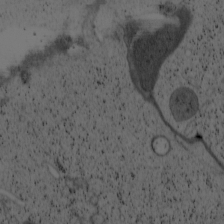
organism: African green monkey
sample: COS-7 cells